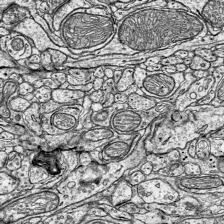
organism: Mouse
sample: Visual Cortex